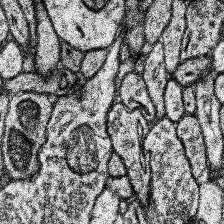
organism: Human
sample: Temporal Lobe